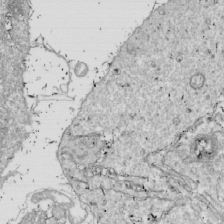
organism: Drosophila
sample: Cell division; meiosis; drosophila spermatocytes